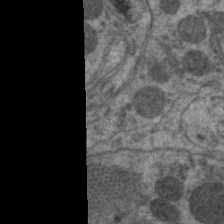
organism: C. elegans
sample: Pharynx